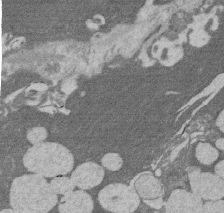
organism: Rat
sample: Salivary granule